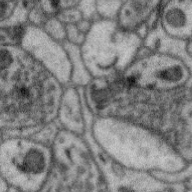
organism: Zebra finch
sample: Brain